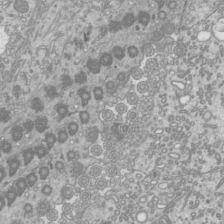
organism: Mouse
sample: Cilia; mouse epididymis